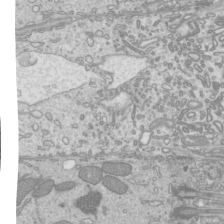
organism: Mouse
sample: Cilia; mouse epididymis